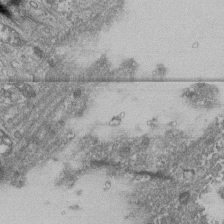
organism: Human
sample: Fibroblast cells